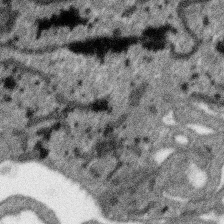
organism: Human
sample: Lung epithelial cells infected with SARS-CoV-2